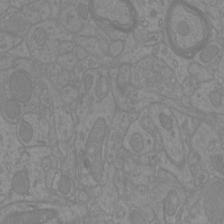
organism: Mouse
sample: Cortical neurons